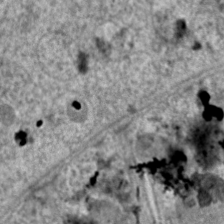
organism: C. elegans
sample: Pharynx